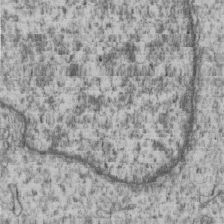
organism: Human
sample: MDA-MB-231 cells